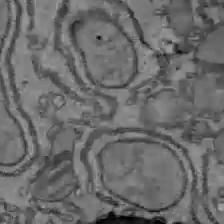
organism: C57BL Mouse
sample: Liver